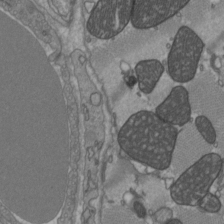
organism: C57BL Mouse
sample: Heart